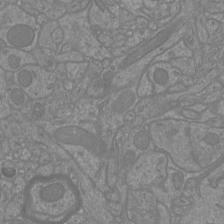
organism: Mouse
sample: Cortical neurons